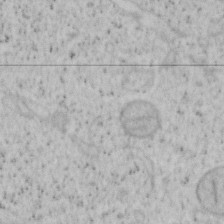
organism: Human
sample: HeLa cells